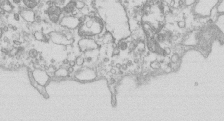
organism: Mouse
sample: Macrophages